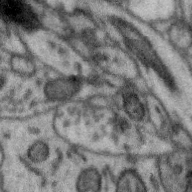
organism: Zebra finch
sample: Brain